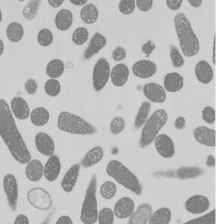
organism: E. coli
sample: Bacterial nucleoid